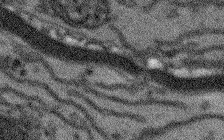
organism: Arabidopsis thaliana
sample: Root tip